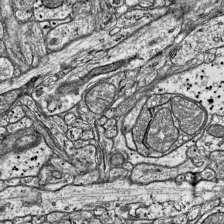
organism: Mouse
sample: Visual Cortex